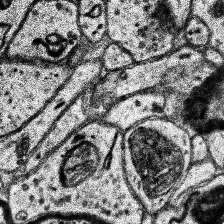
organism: Human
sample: Temporal Lobe